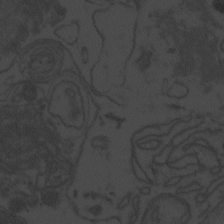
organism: Zebrafish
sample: Macrophage infected with Toxoplasma gondii